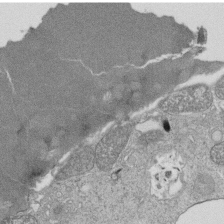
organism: Tetrahymena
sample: Cilia in tetrahymena